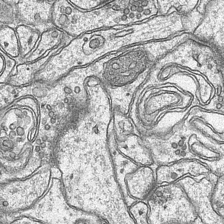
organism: Mouse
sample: CA1 Hippocampus